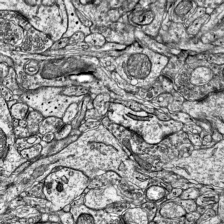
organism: Mouse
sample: Visual Cortex